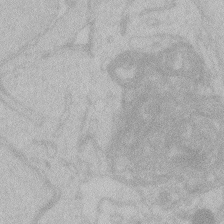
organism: Zebrafish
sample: Macrophage infected with Toxoplasma gondii